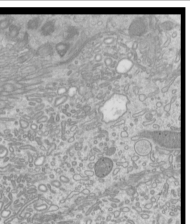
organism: Mouse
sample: Cilia; mouse epididymis